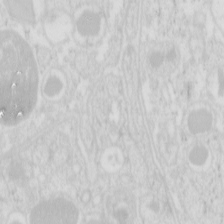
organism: Mouse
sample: Pancreas